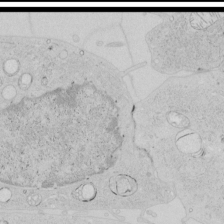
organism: Human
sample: Mitochondria in HCT116 cells